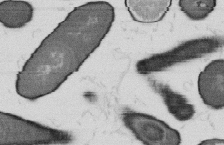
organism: B. subtilis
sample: Bacterial spore